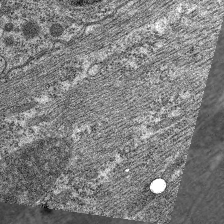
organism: C. elegans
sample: Pharynx